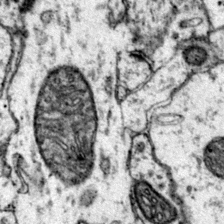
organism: Mouse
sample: Primary visual cortex